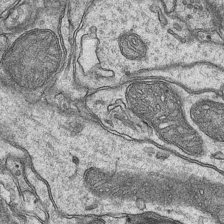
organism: Mouse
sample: CA1 Hippocampus